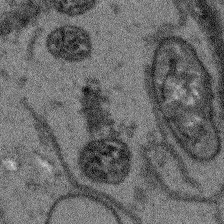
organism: Arabidopsis thaliana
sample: Root tip